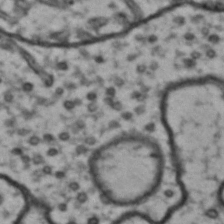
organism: Drosophila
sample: Brain